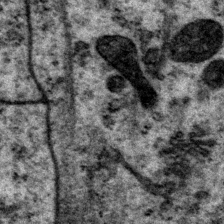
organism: P. pacificus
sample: Pharynx